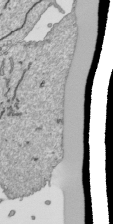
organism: Human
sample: Mitochondria in HCT116 cells